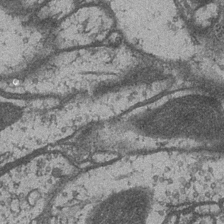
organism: Drosophila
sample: Optic medulla